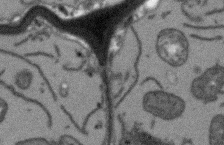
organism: Arabidopsis thaliana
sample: Root tip